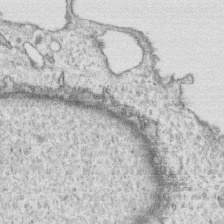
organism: Human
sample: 1205lu cells